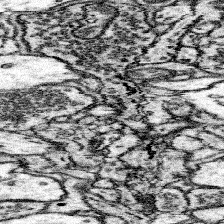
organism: Mouse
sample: Somatosensory cortex neuropil